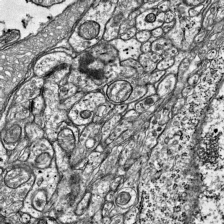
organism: Mouse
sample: Visual Cortex